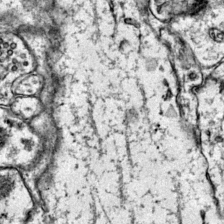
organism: Mouse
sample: Primary visual cortex